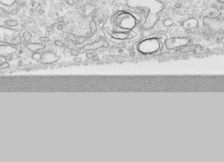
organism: Human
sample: CRL-1474